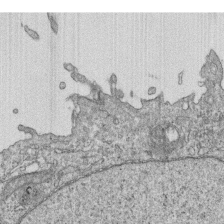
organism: Human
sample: HeLa cell HIV synapse